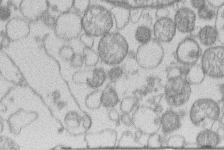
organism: Human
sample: Macrophage cells